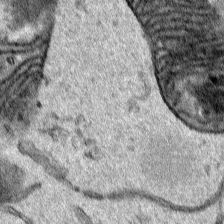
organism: Human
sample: Mitochondria in HCT116 cells